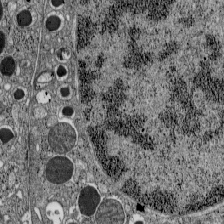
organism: C57BL Mouse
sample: Pancreatic islet